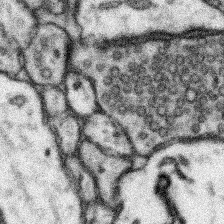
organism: Mouse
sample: Somatosensory cortex neuropil